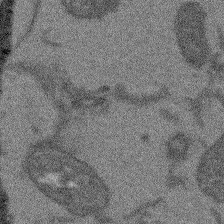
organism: Arabidopsis thaliana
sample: Root tip